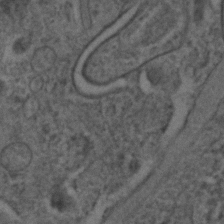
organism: C. elegans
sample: C. elegans embryo